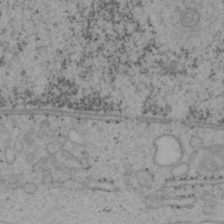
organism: Human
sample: HeLa cells